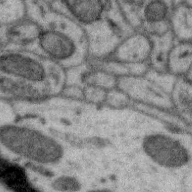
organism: Zebra finch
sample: Brain